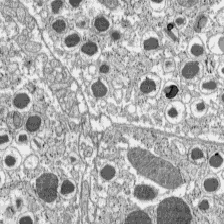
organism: C57BL Mouse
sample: Pancreatic islet